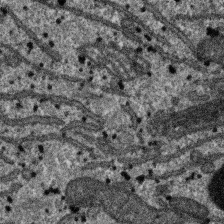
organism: Human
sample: Lung epithelial cells infected with SARS-CoV-2